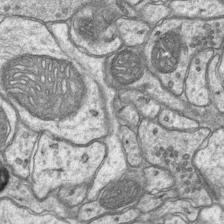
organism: Mouse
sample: CA1 Hippocampus